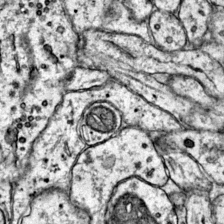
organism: Mouse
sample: Primary visual cortex